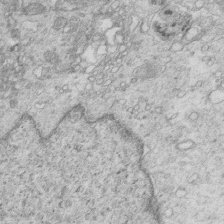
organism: Mouse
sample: Multiciliated cells